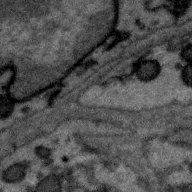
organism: Zebra finch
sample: Brain